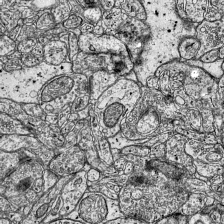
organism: Mouse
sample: Visual Cortex